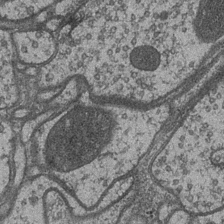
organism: Drosophila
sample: Optic medulla